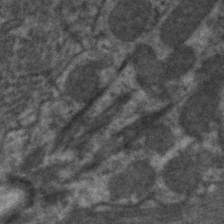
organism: C. elegans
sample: Pharynx